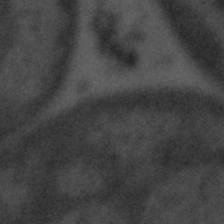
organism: Tuwongella immobilis